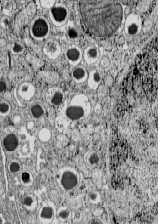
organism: C57BL Mouse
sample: Pancreatic islet